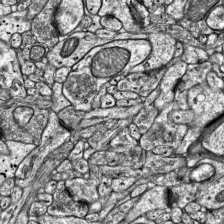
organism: Mouse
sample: Visual Cortex